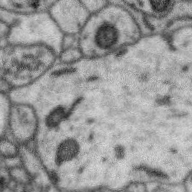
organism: Zebra finch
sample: Brain